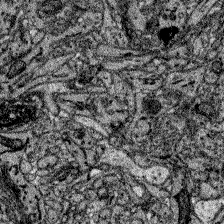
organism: Zebrafish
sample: Larval olfactory bulb